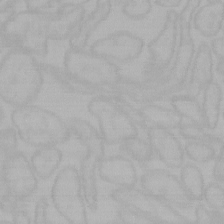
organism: Mouse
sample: Choroid plexus